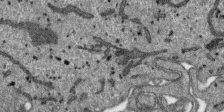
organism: Human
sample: Lung epithelial cells, uninfected (mock) control